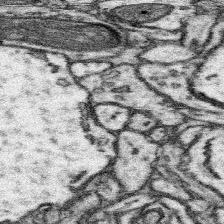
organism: Mouse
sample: Somatosensory cortex neuropil